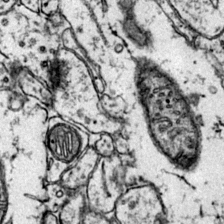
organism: Mouse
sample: Primary visual cortex